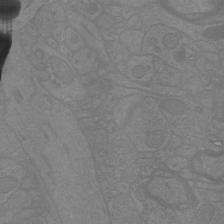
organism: Mouse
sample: Cortical neurons